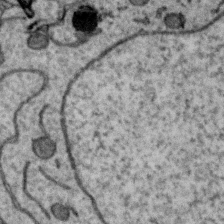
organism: Zebra finch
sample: Brain